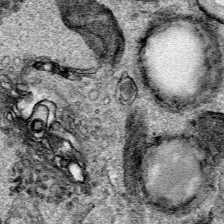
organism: Human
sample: Mitochondria in HCT116 cells